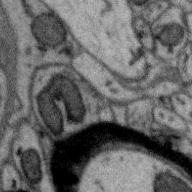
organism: Zebra finch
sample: Brain